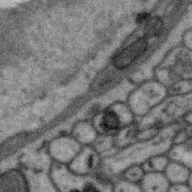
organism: Zebra finch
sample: Brain